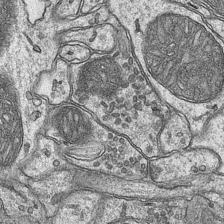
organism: Mouse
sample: CA1 Hippocampus